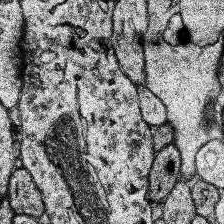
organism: Human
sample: Temporal Lobe